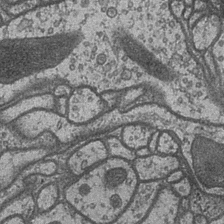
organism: Drosophila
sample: Optic medulla